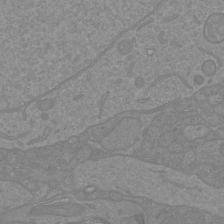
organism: Mouse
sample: Cortical neurons